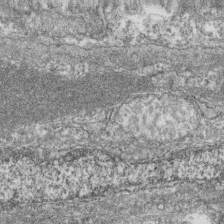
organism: Zebrafish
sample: Cilia; retinal pigment epithelium